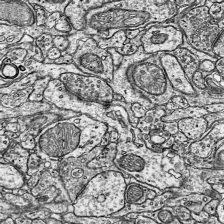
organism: Mouse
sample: Visual Cortex